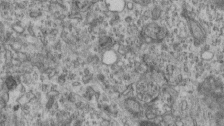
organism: Mouse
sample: Centriole in ependymal cells